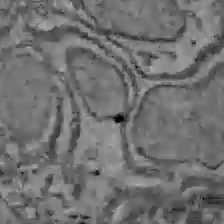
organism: C57BL Mouse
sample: Liver